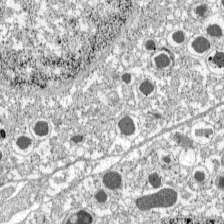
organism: C57BL Mouse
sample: Pancreatic islet